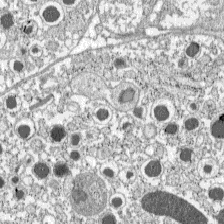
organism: C57BL Mouse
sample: Pancreatic islet